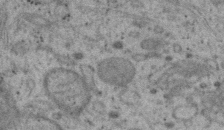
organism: Human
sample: HeLa cells